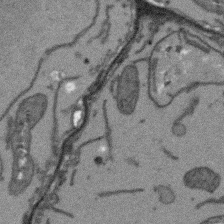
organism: Arabidopsis thaliana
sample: Root tip